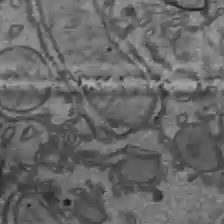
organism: C57BL Mouse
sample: Liver